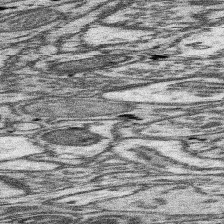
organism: Mouse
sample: Somatosensory cortex neuropil